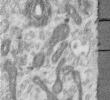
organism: Human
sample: Centriole in RPE cells